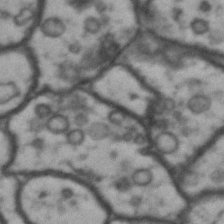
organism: Drosophila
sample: Brain